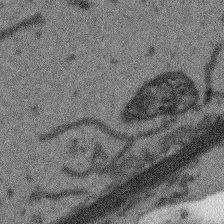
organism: Arabidopsis thaliana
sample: Root tip